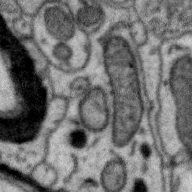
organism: Zebra finch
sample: Brain